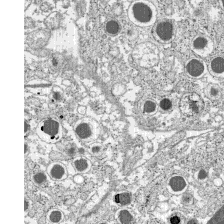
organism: C57BL Mouse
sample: Pancreatic islet